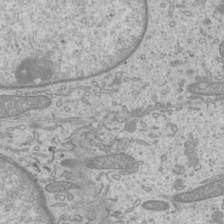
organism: Mouse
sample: Cilia; mouse epididymis